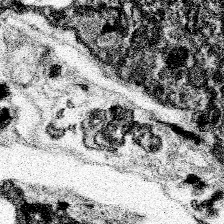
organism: Spongilla lacustris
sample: Neuroid cell